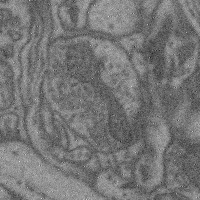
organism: Mouse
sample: Cerebral cortex